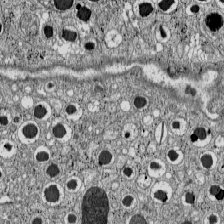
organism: C57BL Mouse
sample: Pancreatic islet